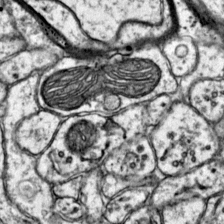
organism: Mouse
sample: Primary visual cortex